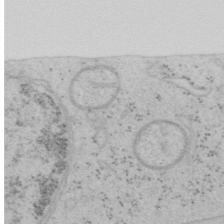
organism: Human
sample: HeLa cells